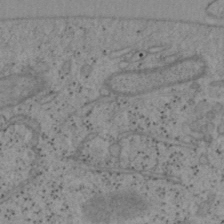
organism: Human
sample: HeLa cells